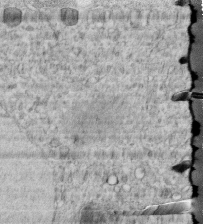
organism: C. elegans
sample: C. elegans embryo early stage